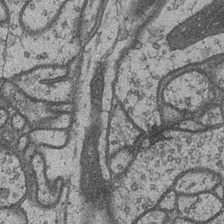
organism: Drosophila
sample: Optic medulla